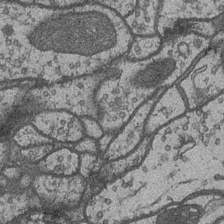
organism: Drosophila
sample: Optic medulla